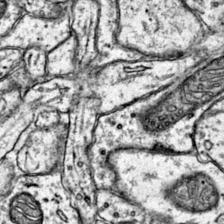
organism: Mouse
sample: Primary visual cortex